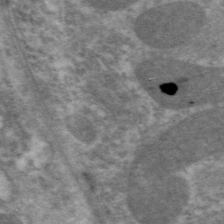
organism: C. elegans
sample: Pharynx